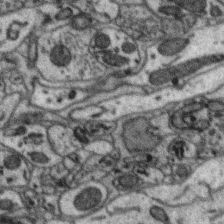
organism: Zebra finch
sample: Brain